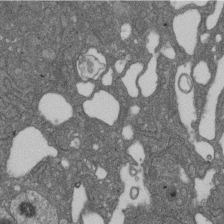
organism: Drosophila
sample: Nephrocyte